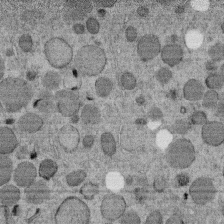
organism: C. elegans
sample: C. elegans embryo early stage